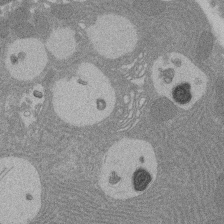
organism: Rat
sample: Salivary granule